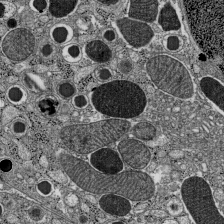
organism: C57BL Mouse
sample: Pancreatic islet